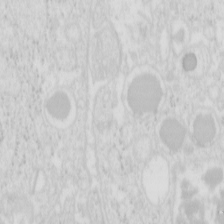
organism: Mouse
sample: Pancreas